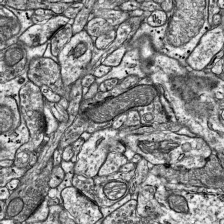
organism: Mouse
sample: Visual Cortex